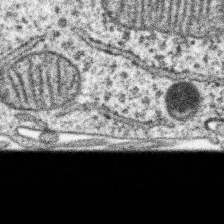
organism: Human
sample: HeLa cells